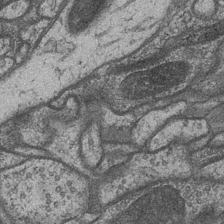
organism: Drosophila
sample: Optic medulla